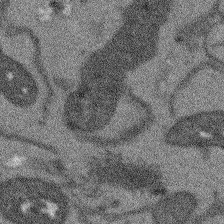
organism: Arabidopsis thaliana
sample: Root tip